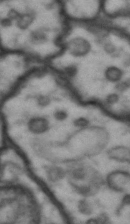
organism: Drosophila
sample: Brain